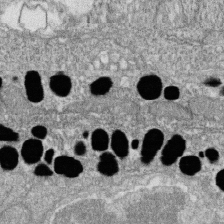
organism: Zebrafish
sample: Cilia; retinal pigment epithelium